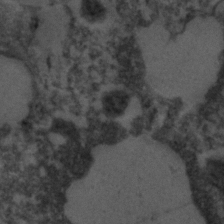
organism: C. elegans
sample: C. elegans embryo